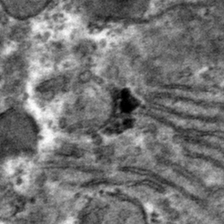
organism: Mouse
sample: Mouse hepatocytes